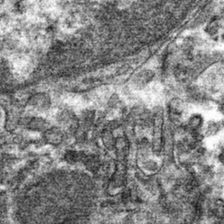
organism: Mouse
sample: Mouse hepatocytes